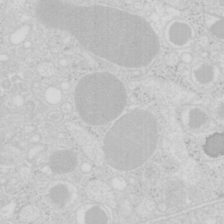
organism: Mouse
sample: Pancreas